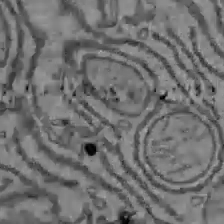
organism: C57BL Mouse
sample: Liver